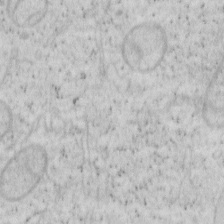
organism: Human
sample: HeLa cells